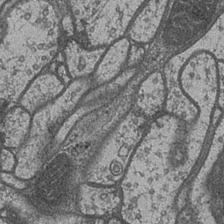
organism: Drosophila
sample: Optic medulla